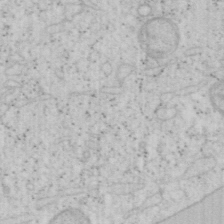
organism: Human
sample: HeLa cells